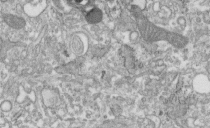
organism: Human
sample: Centriole in fibroblast cells